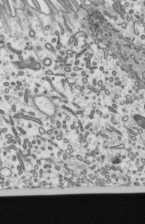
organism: Mouse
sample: Mouse epididymis efferent ductule cilia